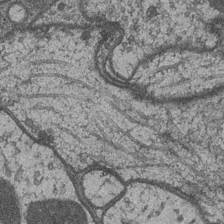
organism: Drosophila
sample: Optic medulla